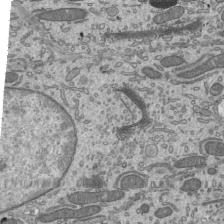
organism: Mouse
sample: Mouse epididymis efferent ductule cilia